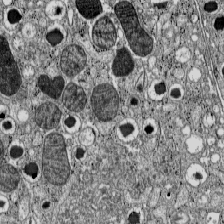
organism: C57BL Mouse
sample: Pancreatic islet